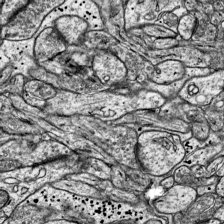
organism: Mouse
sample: Visual Cortex